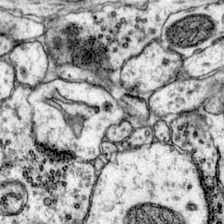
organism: Mouse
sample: Primary visual cortex